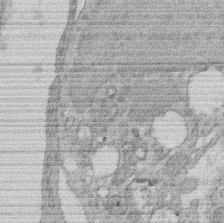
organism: Rat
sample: Salivary granule